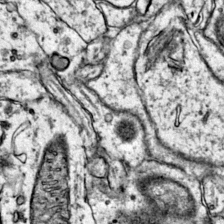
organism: Mouse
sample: Primary visual cortex